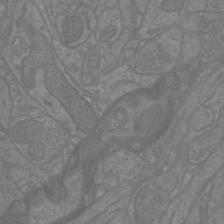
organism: Mouse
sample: Cortical neurons